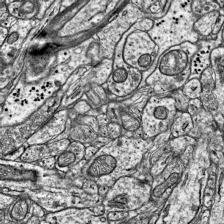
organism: Mouse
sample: Visual Cortex